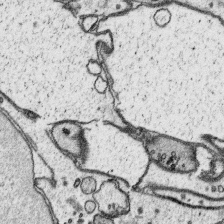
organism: Platynereis dumerilii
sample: Parapodia